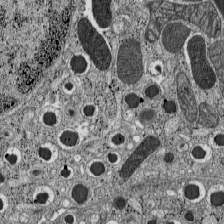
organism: C57BL Mouse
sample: Pancreatic islet